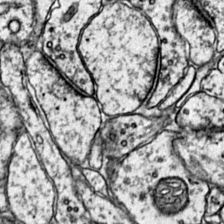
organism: Mouse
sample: Primary visual cortex